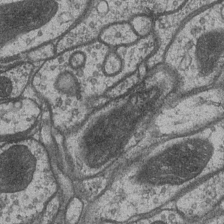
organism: Drosophila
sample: Optic medulla